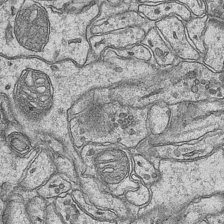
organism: Mouse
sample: CA1 Hippocampus